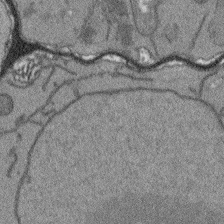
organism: Arabidopsis thaliana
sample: Root tip